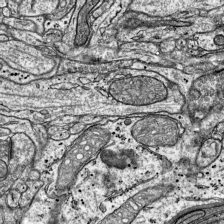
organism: Mouse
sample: Visual Cortex